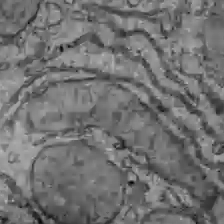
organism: C57BL Mouse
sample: Liver